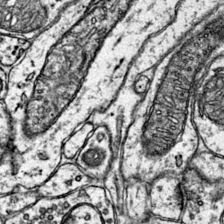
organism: Mouse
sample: Primary visual cortex